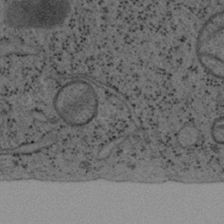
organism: Human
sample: HeLa cells